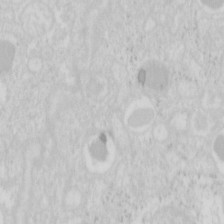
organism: Mouse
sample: Pancreas